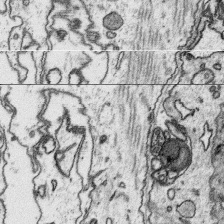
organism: Platynereis dumerilii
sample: Parapodia